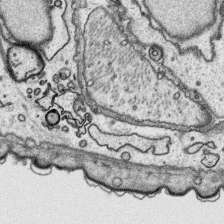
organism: Platynereis dumerilii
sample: Parapodia